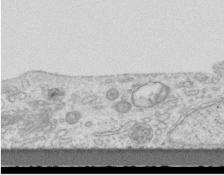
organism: Mouse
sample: Centriole in ependymal cells